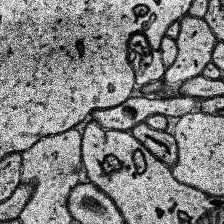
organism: Human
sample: Temporal Lobe